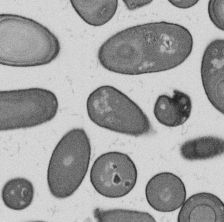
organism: B. subtilis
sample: Bacterial spore